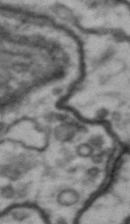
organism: Drosophila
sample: Brain